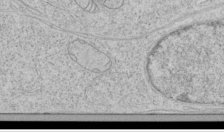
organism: Human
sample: Mitochondria in HCT116 cells